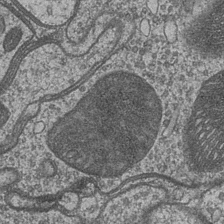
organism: Drosophila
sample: Optic medulla